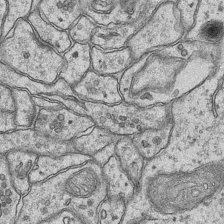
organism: Mouse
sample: CA1 Hippocampus